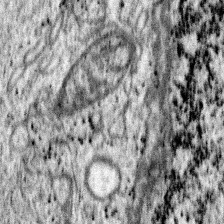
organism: Human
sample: HeLa cells